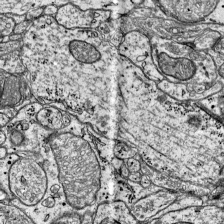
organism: Mouse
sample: Visual Cortex